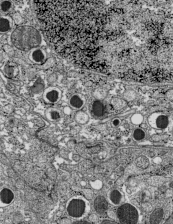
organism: C57BL Mouse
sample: Pancreatic islet